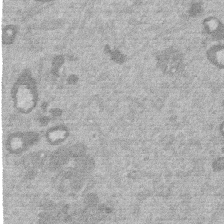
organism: Mouse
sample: Dividing mouse embryo 1 cell stage